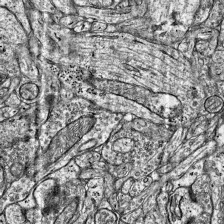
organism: Mouse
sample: Visual Cortex